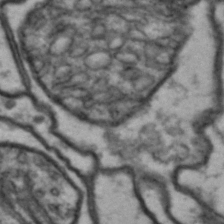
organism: Drosophila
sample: Brain